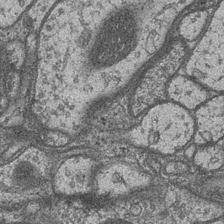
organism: Drosophila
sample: Optic medulla